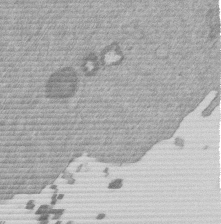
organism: Mouse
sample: Dividing mouse embryo 1 cell stage